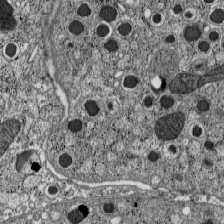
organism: C57BL Mouse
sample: Pancreatic islet